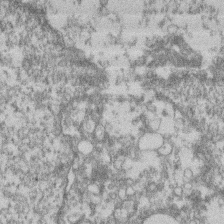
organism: Mouse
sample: T cell stromal cell synapse